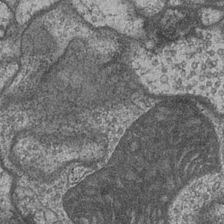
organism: Drosophila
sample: Optic medulla